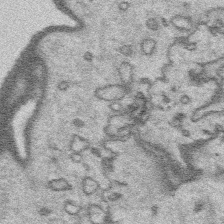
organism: Platynereis dumerilii